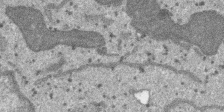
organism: Human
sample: Lung epithelial cells infected with SARS-CoV-2